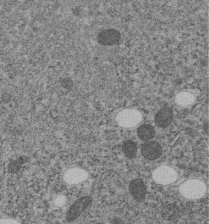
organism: C. elegans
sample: C. elegans embryo early stage